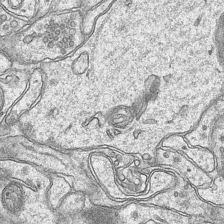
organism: Mouse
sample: CA1 Hippocampus